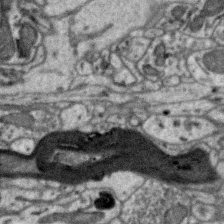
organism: Zebra finch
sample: Brain